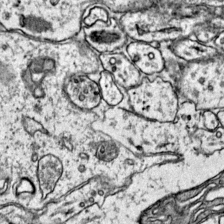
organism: Mouse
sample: Primary visual cortex